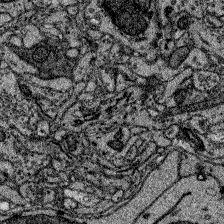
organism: Zebrafish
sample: Larval olfactory bulb